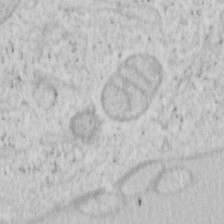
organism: Human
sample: HeLa cells